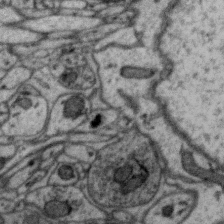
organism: Zebra finch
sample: Brain